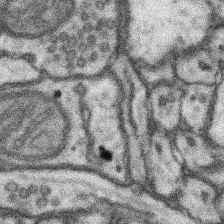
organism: Mouse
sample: Somatosensory cortex neuropil